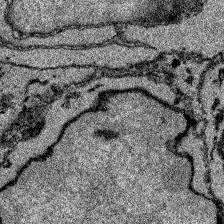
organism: Zebrafish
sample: Larval olfactory bulb